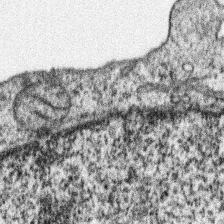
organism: Human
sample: HeLa cells